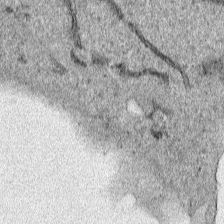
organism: Human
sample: Mitochondria in HCT116 cells